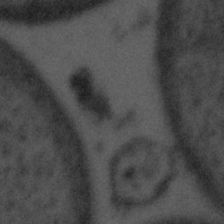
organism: Tuwongella immobilis